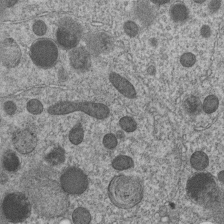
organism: C. elegans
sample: C. elegans embryo early stage